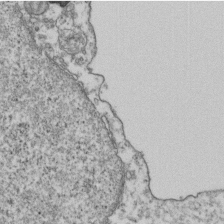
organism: Human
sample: Activated Jurkat CD4+ T cells